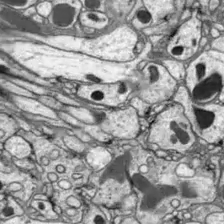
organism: Drosophila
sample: Optic lobe